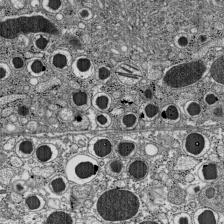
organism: C57BL Mouse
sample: Pancreatic islet